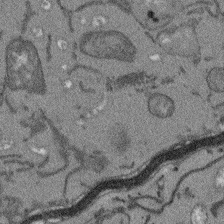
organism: Arabidopsis thaliana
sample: Root tip